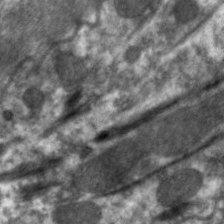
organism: C. elegans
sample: Pharynx